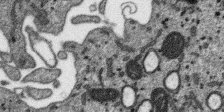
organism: Human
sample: Lung epithelial cells infected with SARS-CoV-2